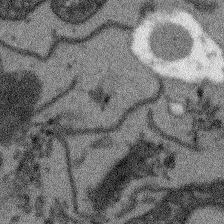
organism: Arabidopsis thaliana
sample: Root tip